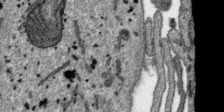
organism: Human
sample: Lung epithelial cells, uninfected (mock) control